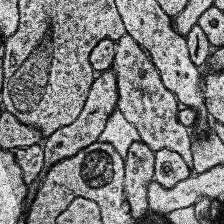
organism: Human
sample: Temporal Lobe